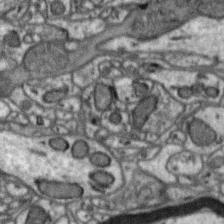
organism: Zebra finch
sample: Brain